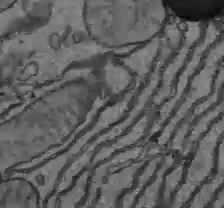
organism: C57BL Mouse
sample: Liver